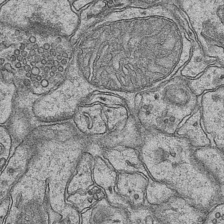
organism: Mouse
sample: CA1 Hippocampus